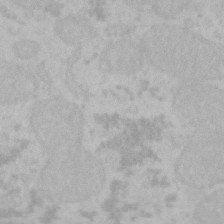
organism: Mouse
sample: Choroid plexus